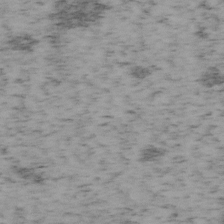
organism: Mouse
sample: OT-I killer T cells with ID8 ovarian cancer cells